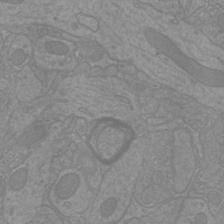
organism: Mouse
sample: Cortical neurons